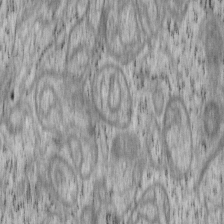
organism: Human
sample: HeLa cells